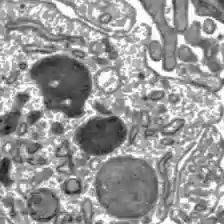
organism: C57BL Mouse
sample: Liver